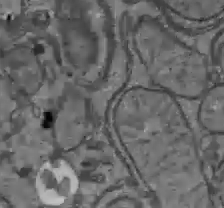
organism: C57BL Mouse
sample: Liver